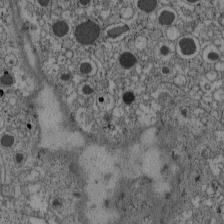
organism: C57BL Mouse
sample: Pancreatic islet